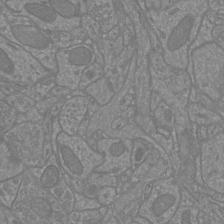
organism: Mouse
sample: Cortical neurons